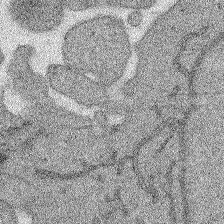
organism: Human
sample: HeLa cells